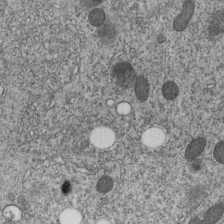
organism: C. elegans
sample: C. elegans embryo early stage